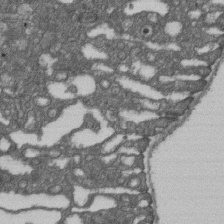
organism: Drosophila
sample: Nephrocyte